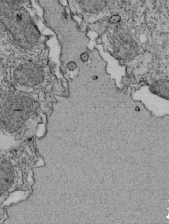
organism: Tetrahymena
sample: Cilia in tetrahymena